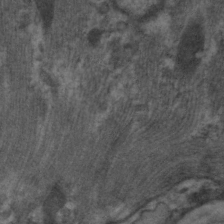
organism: C. elegans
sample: Pharynx